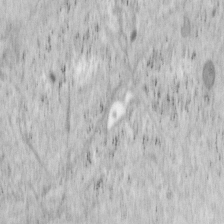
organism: Human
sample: HeLa cells